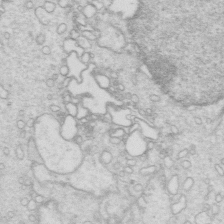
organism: Mouse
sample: Multiciliated cells